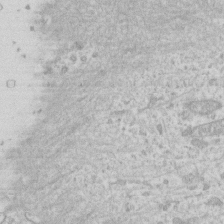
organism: Human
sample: Fibroblast cells